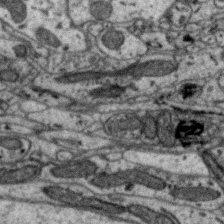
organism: Zebra finch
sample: Brain